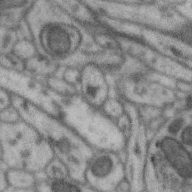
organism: Zebra finch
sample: Brain